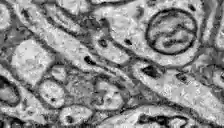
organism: Zebrafish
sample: Brain